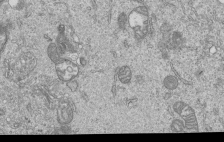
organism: Human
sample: MDA-MB-231 cells